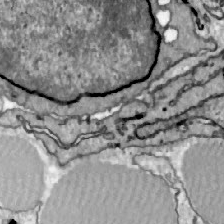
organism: Zebrafish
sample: Actinotrichia fibers